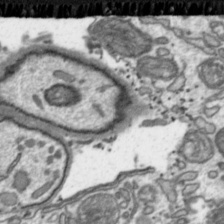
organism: Toxoplasma gondii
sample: Parasites in a vacuole inside a host cell